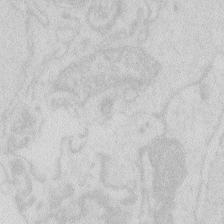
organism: Zebrafish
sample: Macrophage